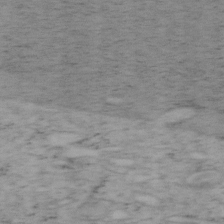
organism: Mouse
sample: OT-I killer T cells with ID8 ovarian cancer cells